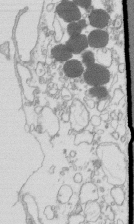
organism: Mouse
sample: Macrophages